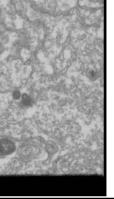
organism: Drosophila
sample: Cell division; meiosis; drosophila spermatocytes